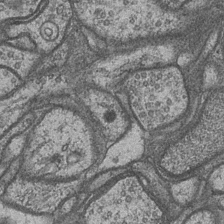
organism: Drosophila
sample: Optic medulla